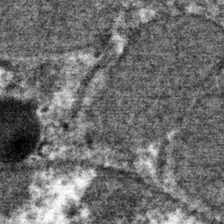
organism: Mouse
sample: Mouse hepatocytes